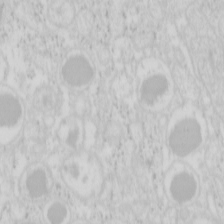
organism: Mouse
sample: Pancreas